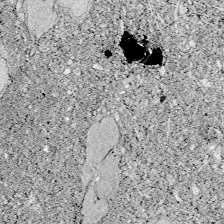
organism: Zebrafish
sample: Whole-Brain